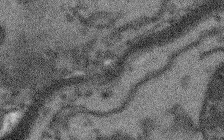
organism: Arabidopsis thaliana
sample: Root tip